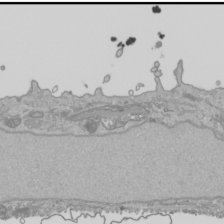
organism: Human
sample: Mitochondria in HCT116 cells